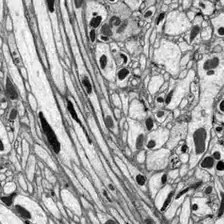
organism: Drosophila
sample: Optic lobe